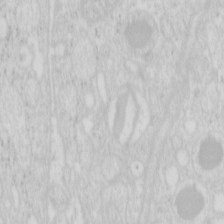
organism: Mouse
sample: Pancreas